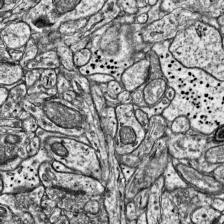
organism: Mouse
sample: Visual Cortex